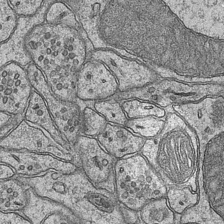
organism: Mouse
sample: CA1 Hippocampus